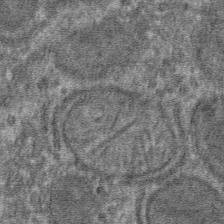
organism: Mouse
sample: Mouse hepatocytes